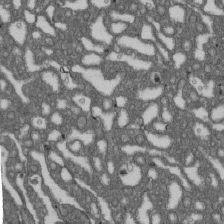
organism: Drosophila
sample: Nephrocyte